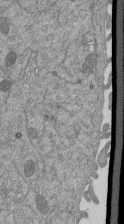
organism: Mouse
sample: ED-1 cell nuclei; centrioles